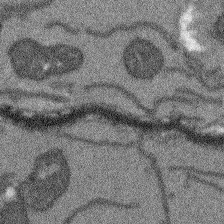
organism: Arabidopsis thaliana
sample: Root tip